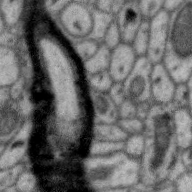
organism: Zebra finch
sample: Brain